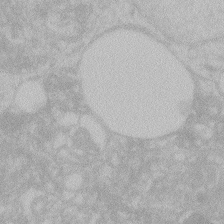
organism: Zebrafish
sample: Macrophage infected with Toxoplasma gondii